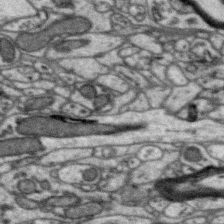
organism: Zebra finch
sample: Brain